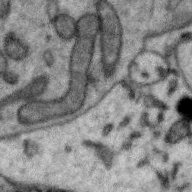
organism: Zebra finch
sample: Brain